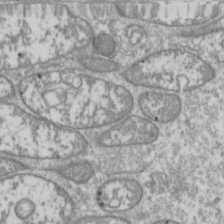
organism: Drosophila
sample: Cell division; meiosis; drosophila spermatocytes